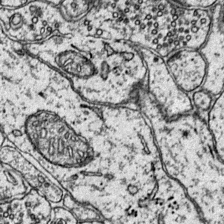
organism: Mouse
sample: Primary visual cortex